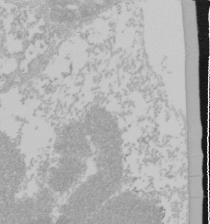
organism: Mouse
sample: Cancer cell death in ED-1 cells